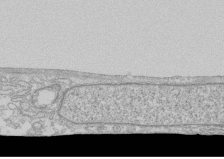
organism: Human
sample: CRL-1474